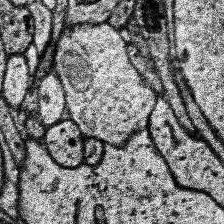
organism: Human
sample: Temporal Lobe